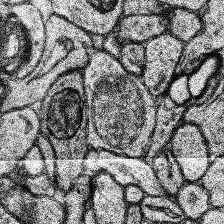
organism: Human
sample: Temporal Lobe